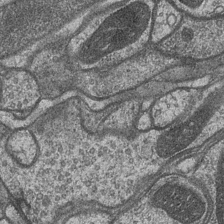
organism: Drosophila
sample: Optic medulla